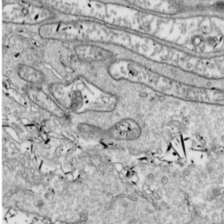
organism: Drosophila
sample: Cell division; meiosis; drosophila spermatocytes